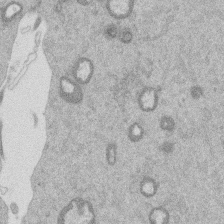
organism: Mouse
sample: Dividing mouse embryo 1 cell stage